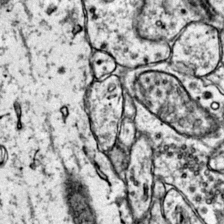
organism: Mouse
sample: Primary visual cortex